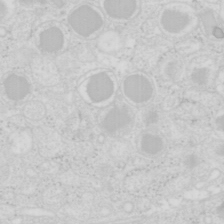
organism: Mouse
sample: Pancreas